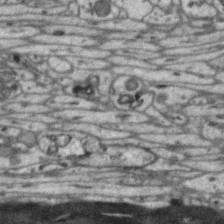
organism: Zebra finch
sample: Brain